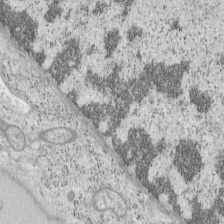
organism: Mouse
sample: OT-I killer T cells with ID8 ovarian cancer cells